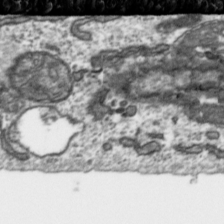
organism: Toxoplasma gondii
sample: Parasites in a vacuole inside a host cell